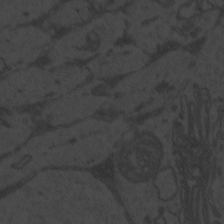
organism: Zebrafish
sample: Macrophage infected with Toxoplasma gondii